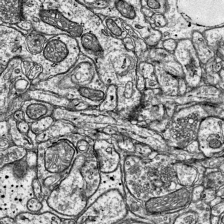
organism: Mouse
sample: Visual Cortex